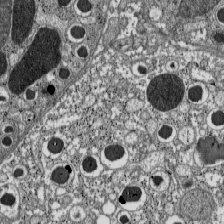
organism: C57BL Mouse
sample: Pancreatic islet